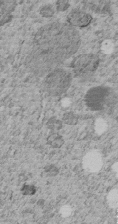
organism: C. elegans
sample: C. elegans embryo early stage